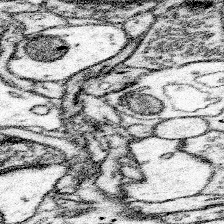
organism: Mouse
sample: Somatosensory cortex neuropil